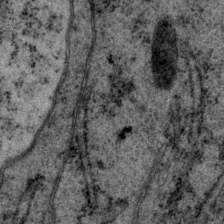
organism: P. pacificus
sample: Pharynx